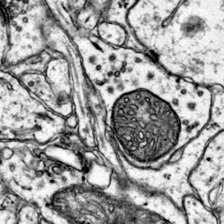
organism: Mouse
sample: Primary visual cortex